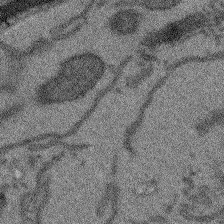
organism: Arabidopsis thaliana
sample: Root tip